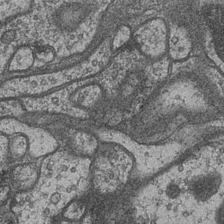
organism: Drosophila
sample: Optic medulla